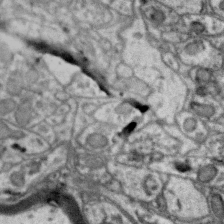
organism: Zebra finch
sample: Brain